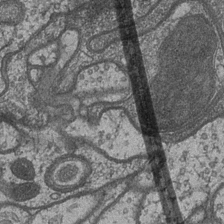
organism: Drosophila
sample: Optic medulla